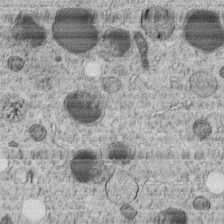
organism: C. elegans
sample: C. elegans embryo early stage